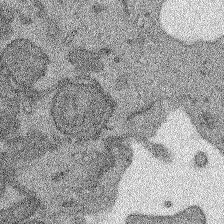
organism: Human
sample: HeLa cells